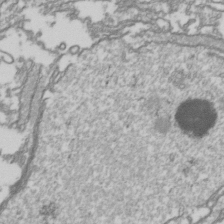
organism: Drosophila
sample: Cell division; meiosis; drosophila spermatocytes